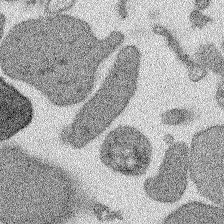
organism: Human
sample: HeLa cells